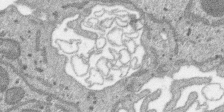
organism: Human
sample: Lung epithelial cells infected with SARS-CoV-2